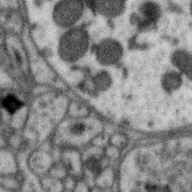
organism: Zebra finch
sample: Brain